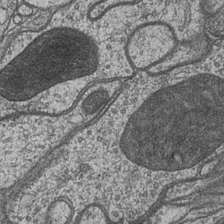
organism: Drosophila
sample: Optic medulla